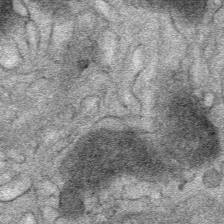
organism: Mouse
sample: Mouse Salivary gland